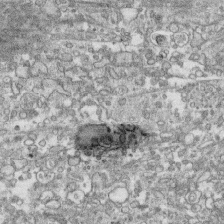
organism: Human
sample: CRL-1474